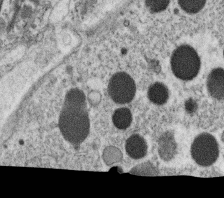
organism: C. elegans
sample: C. elegans oocyte; sperm cells